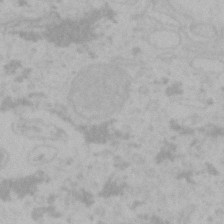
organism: Mouse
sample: Choroid plexus